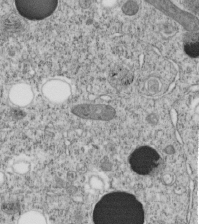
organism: C. elegans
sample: C. elegans embryo early stage